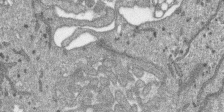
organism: Human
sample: Lung epithelial cells infected with SARS-CoV-2